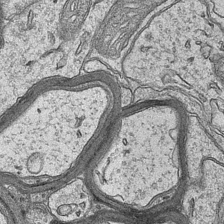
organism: Mouse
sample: CA1 Hippocampus